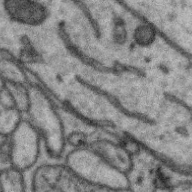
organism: Zebra finch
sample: Brain